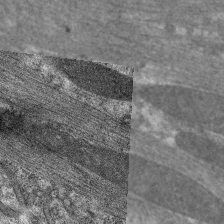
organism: C. elegans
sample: Pharynx